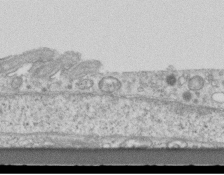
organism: Mouse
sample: Centriole in ependymal cells